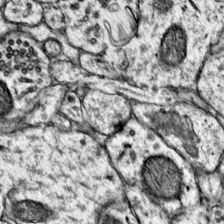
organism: Mouse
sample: Primary visual cortex